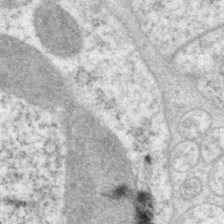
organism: P. pacificus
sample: Pharynx